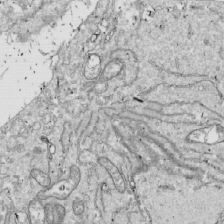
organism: Drosophila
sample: Cell division; meiosis; drosophila spermatocytes